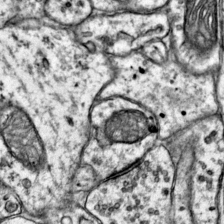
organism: Mouse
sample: Primary visual cortex